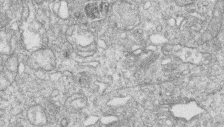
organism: Human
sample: HeLa cell HIV synapse